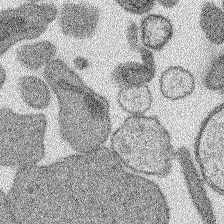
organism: Human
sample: HeLa cells